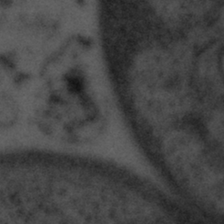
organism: Tuwongella immobilis